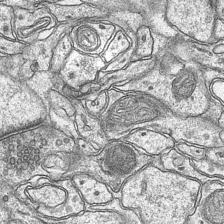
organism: Mouse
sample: CA1 Hippocampus